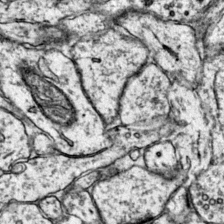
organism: Mouse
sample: Primary visual cortex